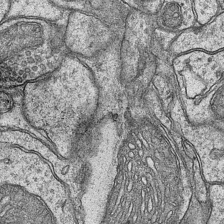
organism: Mouse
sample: CA1 Hippocampus